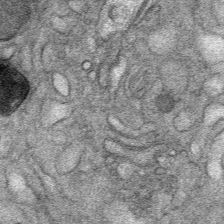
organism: Mouse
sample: Mouse Salivary gland